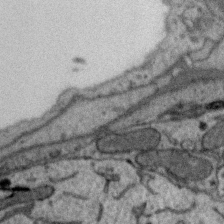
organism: Zebra finch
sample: Brain